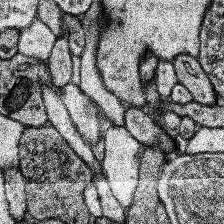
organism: Human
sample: Temporal Lobe